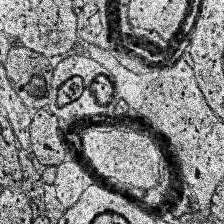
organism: Human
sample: Temporal Lobe